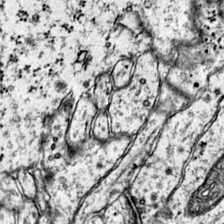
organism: Mouse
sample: Primary visual cortex